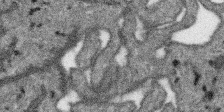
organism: Human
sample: Lung epithelial cells infected with SARS-CoV-2